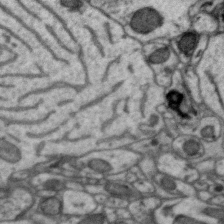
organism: Zebra finch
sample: Brain